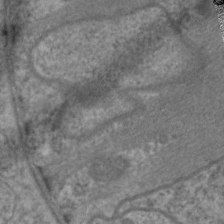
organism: C. elegans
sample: Pharynx